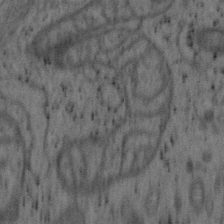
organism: Human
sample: HeLa cells